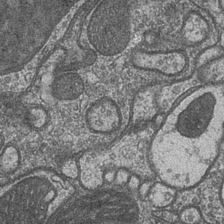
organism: Drosophila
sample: Optic medulla